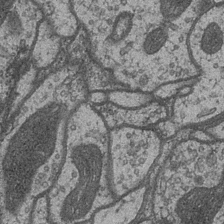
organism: Drosophila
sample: Optic medulla